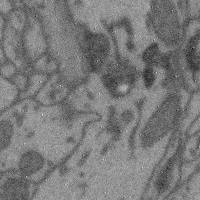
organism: Mouse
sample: Cerebral cortex